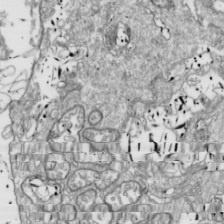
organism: Drosophila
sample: Cell division; meiosis; drosophila spermatocytes